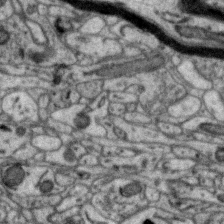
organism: Zebra finch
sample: Brain